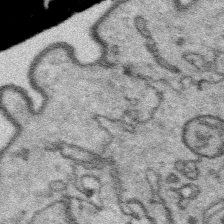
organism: Platynereis dumerilii